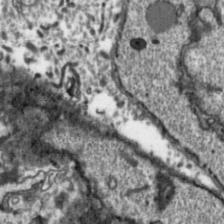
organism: Toxoplasma gondii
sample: Parasites in a vacuole inside a host cell